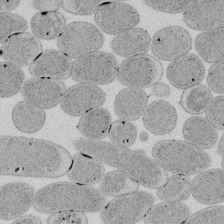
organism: E. coli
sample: Bacterial nucleoid